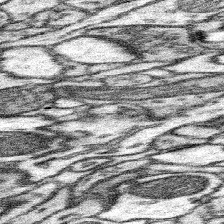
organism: Mouse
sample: Somatosensory cortex neuropil